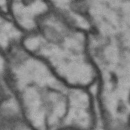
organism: Drosophila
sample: Brain